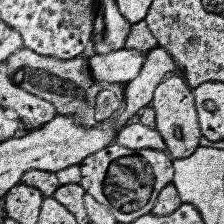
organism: Human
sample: Temporal Lobe